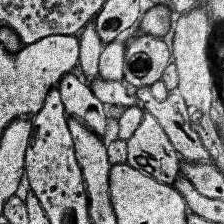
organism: Human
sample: Temporal Lobe